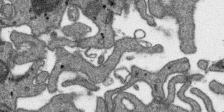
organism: Human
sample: Lung epithelial cells, uninfected (mock) control